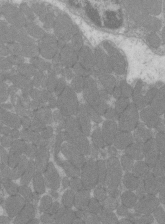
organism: C57BL Mouse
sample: Tibialis anterior muscle cell